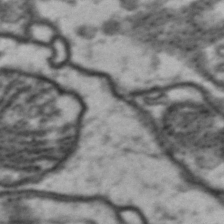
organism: Drosophila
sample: Brain